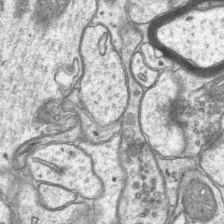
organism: Mouse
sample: CA1 Hippocampus